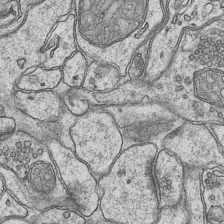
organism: Mouse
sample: CA1 Hippocampus